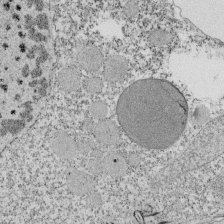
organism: Tetrahymena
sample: Cilia in tetrahymena